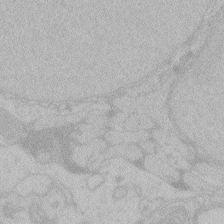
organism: Zebrafish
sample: Macrophage infected with Toxoplasma gondii